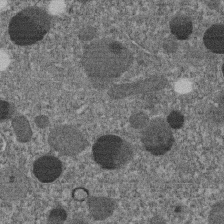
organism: C. elegans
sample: C. elegans embryo early stage